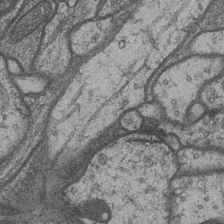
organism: Drosophila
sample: Optic medulla